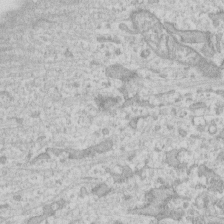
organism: Human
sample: Fibroblast cells